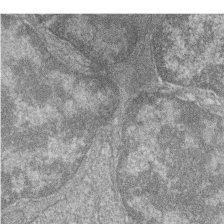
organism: Zebrafish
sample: Cilia; retinal pigment epithelium